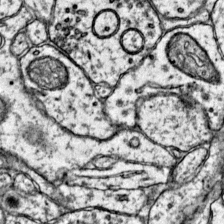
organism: Mouse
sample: Primary visual cortex